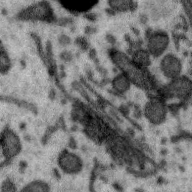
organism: Zebra finch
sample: Brain